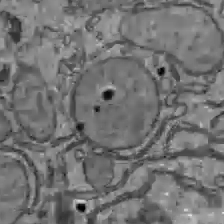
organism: C57BL Mouse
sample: Liver